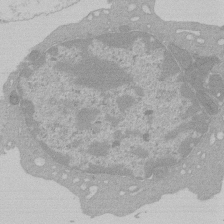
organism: Mouse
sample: Activated Pmel transgenic CD8+ T Cells